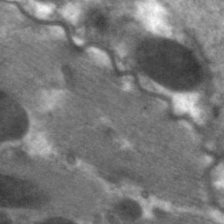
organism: C. elegans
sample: Pharynx